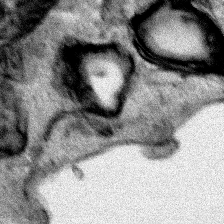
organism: Human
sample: Mitochondria in HCT116 cells